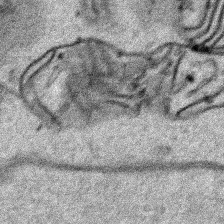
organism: Human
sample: Mitochondria in HCT116 cells